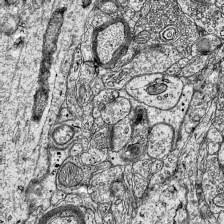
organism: Mouse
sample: Visual Cortex